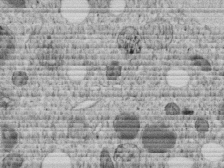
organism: C. elegans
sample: C. elegans embryo early stage